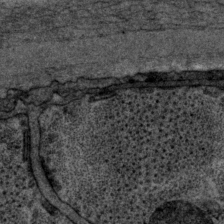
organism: P. pacificus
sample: Pharynx